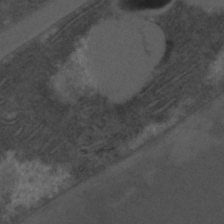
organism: C. elegans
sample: C. elegans embryo